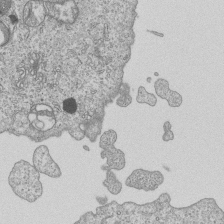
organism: Human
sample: MDA-MB-231 cells